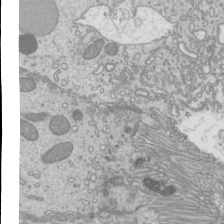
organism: Mouse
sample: Cilia; mouse epididymis